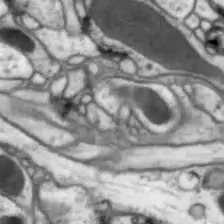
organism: Drosophila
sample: Optic lobe